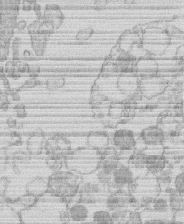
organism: Human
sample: Macrophage cells